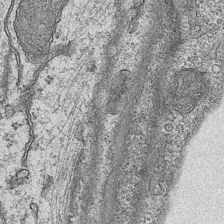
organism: Mouse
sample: CA1 Hippocampus